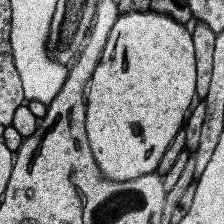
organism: Human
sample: Temporal Lobe